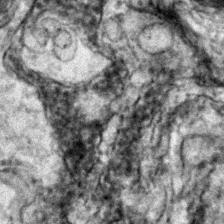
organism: Zebrafish